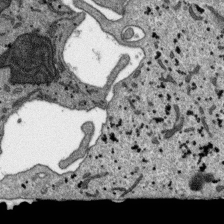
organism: Human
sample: Lung epithelial cells, uninfected (mock) control